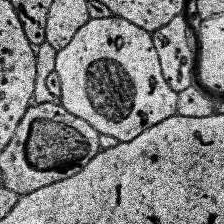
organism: Human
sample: Temporal Lobe